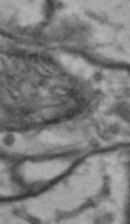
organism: Drosophila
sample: Brain